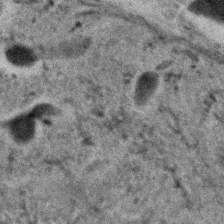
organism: C. elegans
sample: C. elegans embryo